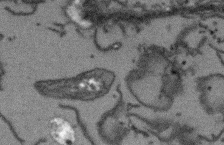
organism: Arabidopsis thaliana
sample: Root tip